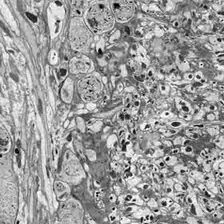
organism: Drosophila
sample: Optic lobe